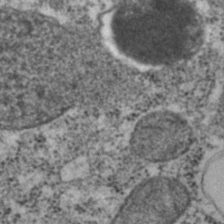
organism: C. elegans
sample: C. elegans embryo